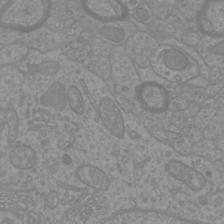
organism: Mouse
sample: Cortical neurons